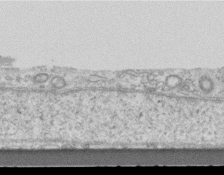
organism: Mouse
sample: Centriole in ependymal cells